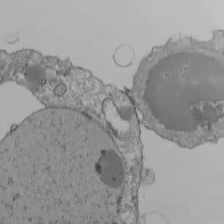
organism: Human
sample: Jurkat E6-1 and CD4 cells